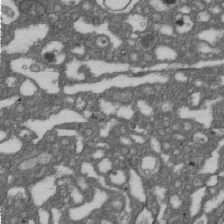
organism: Drosophila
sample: Nephrocyte